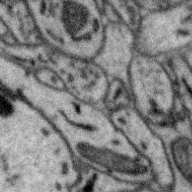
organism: Zebra finch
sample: Brain